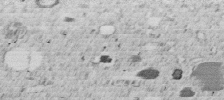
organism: C. elegans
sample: C. elegans embryo early stage